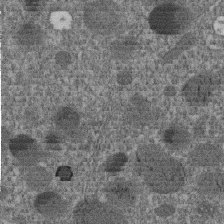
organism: C. elegans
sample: C. elegans embryo early stage